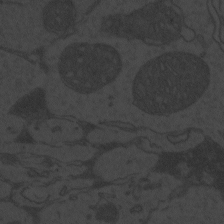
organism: Zebrafish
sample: Macrophage infected with Toxoplasma gondii